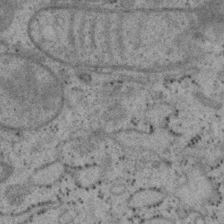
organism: Human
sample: HeLa cells